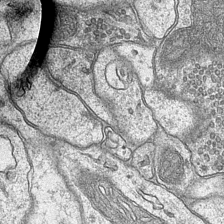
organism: Mouse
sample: CA1 Hippocampus